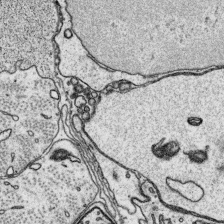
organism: Platynereis dumerilii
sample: Parapodia